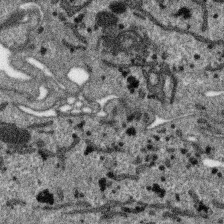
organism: Human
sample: Lung epithelial cells infected with SARS-CoV-2